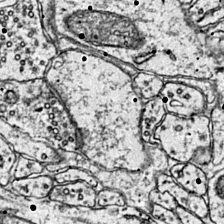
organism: Mouse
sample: Primary visual cortex